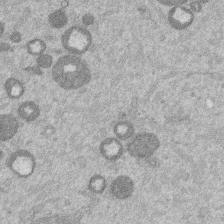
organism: Mouse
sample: Dividing mouse embryo 1 cell stage